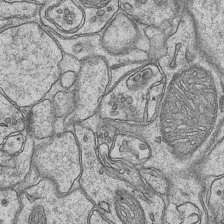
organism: Mouse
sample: CA1 Hippocampus